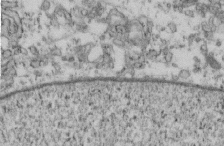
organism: Mouse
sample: Cilia; retinal pigment epithelium